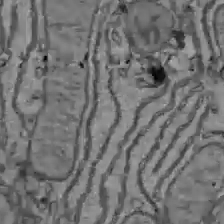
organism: C57BL Mouse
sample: Liver